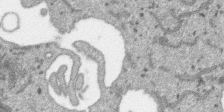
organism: Human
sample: Lung epithelial cells infected with SARS-CoV-2